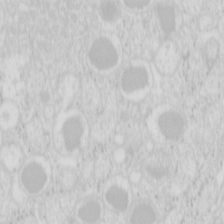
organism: Mouse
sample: Pancreas